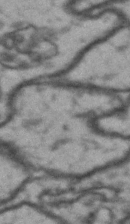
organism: Drosophila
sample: Brain